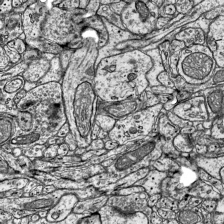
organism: Mouse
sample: Visual Cortex